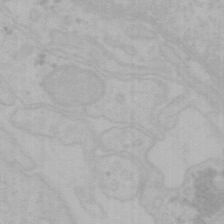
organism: Mouse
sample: Choroid plexus